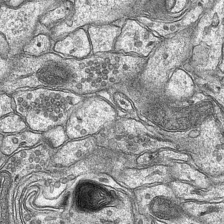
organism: Mouse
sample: CA1 Hippocampus